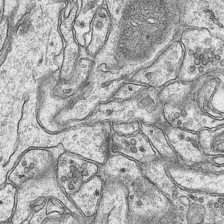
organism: Mouse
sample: CA1 Hippocampus